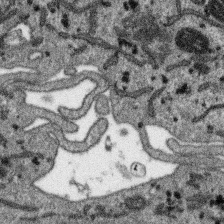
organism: Human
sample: Lung epithelial cells infected with SARS-CoV-2